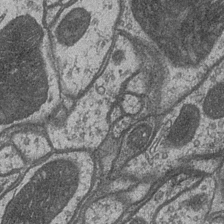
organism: Drosophila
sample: Optic medulla